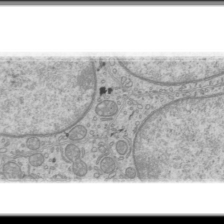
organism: Mouse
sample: Cilia; mouse epididymis